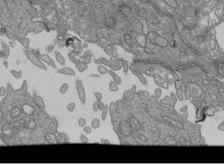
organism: Human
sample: Retinal organoid Rod and Cone cells